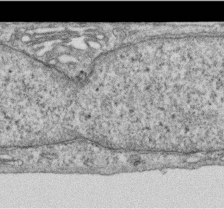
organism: Human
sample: Centriole in RPE cells